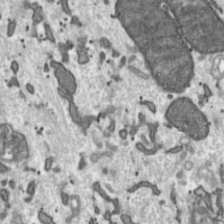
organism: Toxoplasma gondii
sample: Parasites in a vacuole inside a host cell